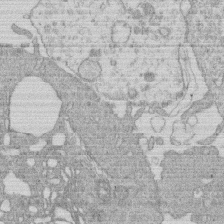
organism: Human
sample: Macrophage cells